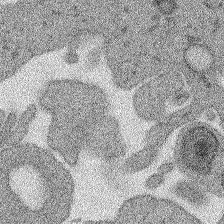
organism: Human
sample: HeLa cells